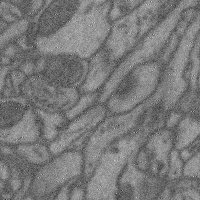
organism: Mouse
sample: Cerebral cortex